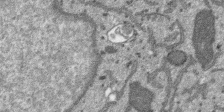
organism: Human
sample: Lung epithelial cells infected with SARS-CoV-2